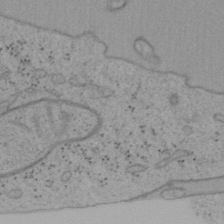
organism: Human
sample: HeLa cells